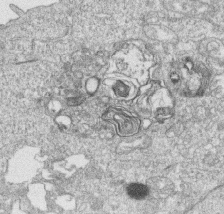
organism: Human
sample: HeLa cell HIV synapse